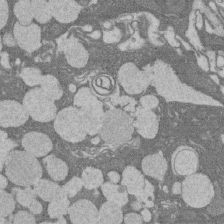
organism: Rat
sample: Salivary granule